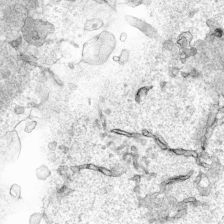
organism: Human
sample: Mitochondria in HCT116 cells